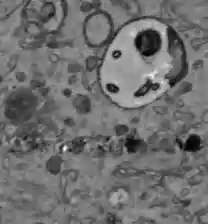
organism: C57BL Mouse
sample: Liver